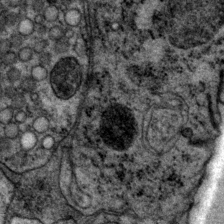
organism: P. pacificus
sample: Pharynx